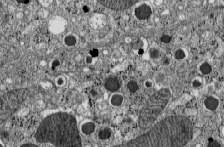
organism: C57BL Mouse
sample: Pancreatic islet